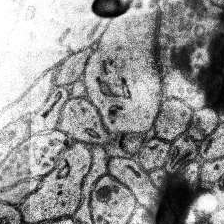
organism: Human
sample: Temporal Lobe